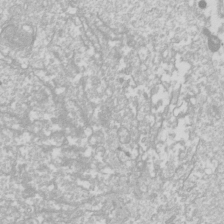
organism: Drosophila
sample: Cell division; meiosis; drosophila spermatocytes